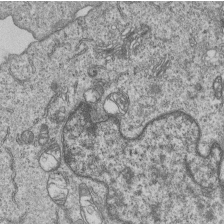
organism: Human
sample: MDA-MB-231 cells